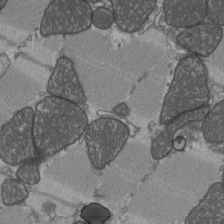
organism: C57BL Mouse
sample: Heart